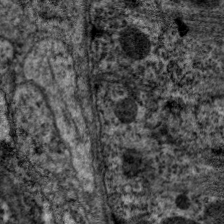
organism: C. elegans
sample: Pharynx